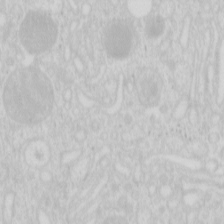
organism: Mouse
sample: Pancreas